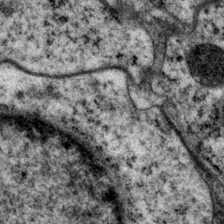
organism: P. pacificus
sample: Pharynx